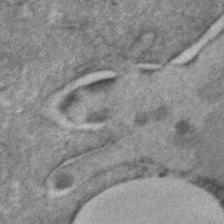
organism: C. elegans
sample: C. elegans embryo